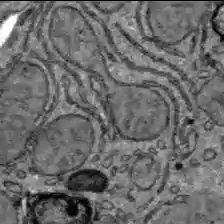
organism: C57BL Mouse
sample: Liver